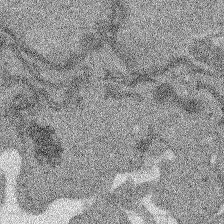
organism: Human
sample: HeLa cells